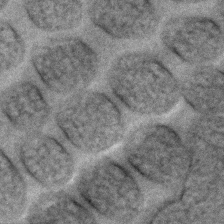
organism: C. elegans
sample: C. elegans embryo